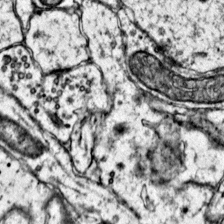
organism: Mouse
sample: Primary visual cortex